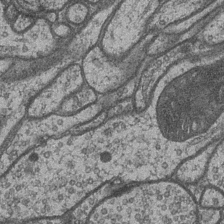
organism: Drosophila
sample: Optic medulla